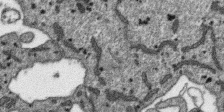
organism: Human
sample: Lung epithelial cells infected with SARS-CoV-2